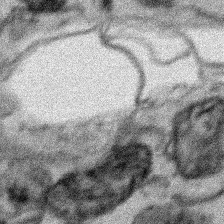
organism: Human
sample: Mitochondria in HCT116 cells